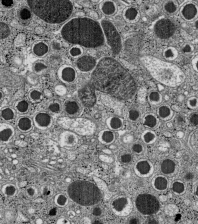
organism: C57BL Mouse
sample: Pancreatic islet